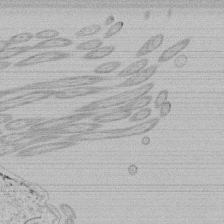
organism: Tetrahymena